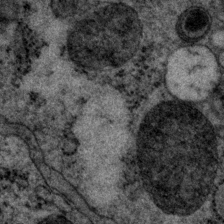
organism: P. pacificus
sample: Pharynx